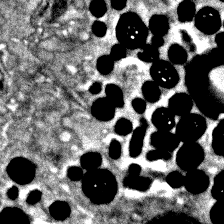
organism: Zebrafish